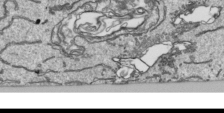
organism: Human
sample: Mitochondria in HCT116 cells